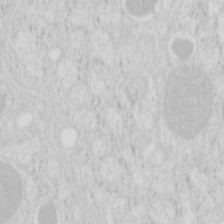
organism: Mouse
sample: Pancreas